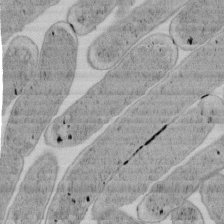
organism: E. coli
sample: Bacterial nucleoid